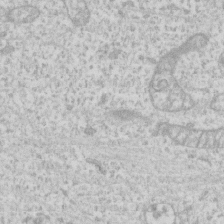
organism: Human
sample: Fibroblast cells